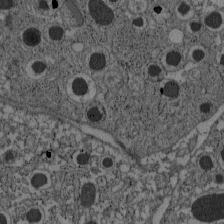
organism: C57BL Mouse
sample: Pancreatic islet